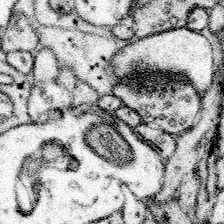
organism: Mouse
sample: Somatosensory cortex neuropil